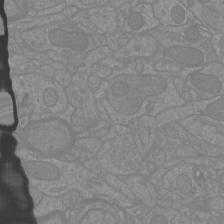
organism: Mouse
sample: Cortical neurons